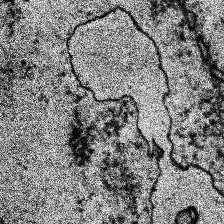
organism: Human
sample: Temporal Lobe